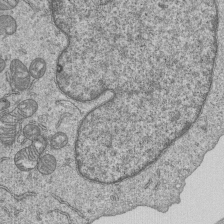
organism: Human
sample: MDA-MB-231 cells